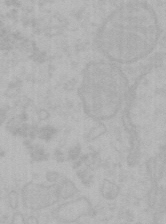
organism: Mouse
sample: Choroid plexus